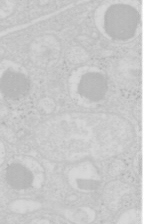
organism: Mouse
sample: Pancreas